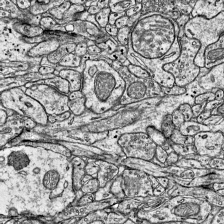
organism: Mouse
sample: Visual Cortex